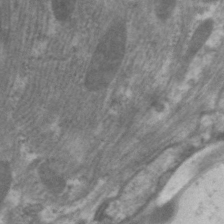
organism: C. elegans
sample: Pharynx